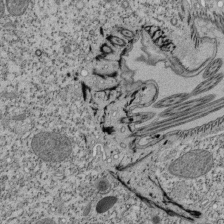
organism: Tetrahymena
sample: Cilia in tetrahymena